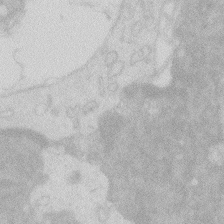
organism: Zebrafish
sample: Macrophage